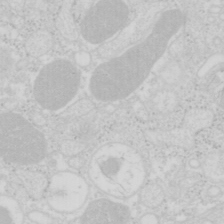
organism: Mouse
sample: Pancreas